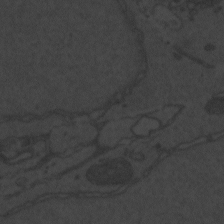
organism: Zebrafish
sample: Macrophage infected with Toxoplasma gondii